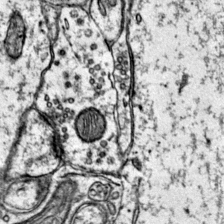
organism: Mouse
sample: Primary visual cortex